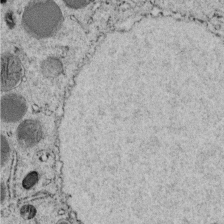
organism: C. elegans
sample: C. elegans embryo early stage